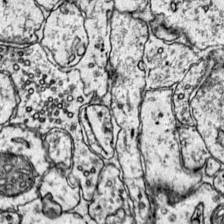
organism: Mouse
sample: Primary visual cortex